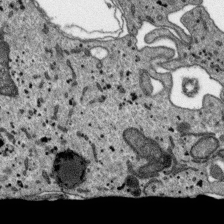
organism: Human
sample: Lung epithelial cells, uninfected (mock) control